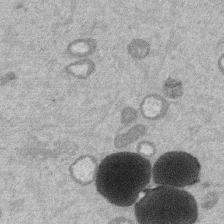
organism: Mouse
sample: Dividing mouse embryo 1 cell stage